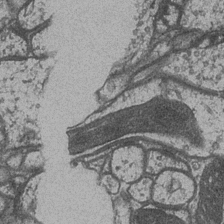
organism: Drosophila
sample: Optic medulla